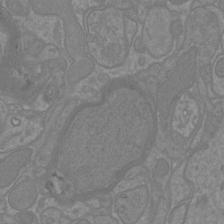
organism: Mouse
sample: Cortical neurons